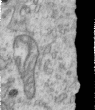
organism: Human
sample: Centriole in RPE cells